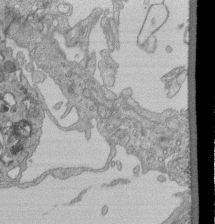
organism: Human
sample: Retinal organoid Rod and Cone cells